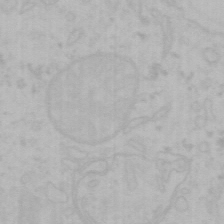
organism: Mouse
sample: Choroid plexus